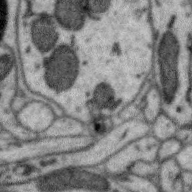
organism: Zebra finch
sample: Brain